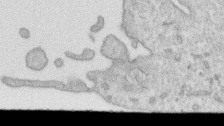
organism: Human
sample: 1205lu cells